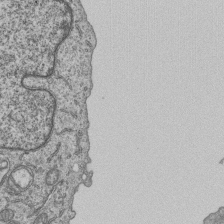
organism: Human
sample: MDA-MB-231 cells